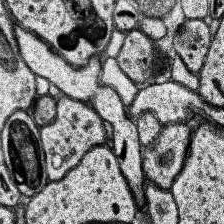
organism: Human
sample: Temporal Lobe